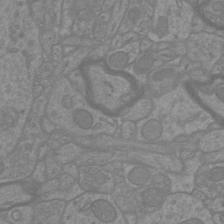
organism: Mouse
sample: Cortical neurons